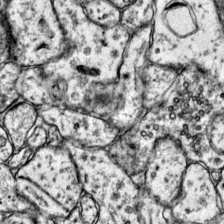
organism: Mouse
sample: Primary visual cortex